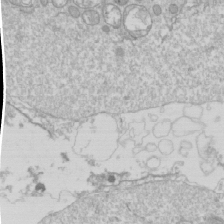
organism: Drosophila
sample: Cell division; meiosis; drosophila spermatocytes